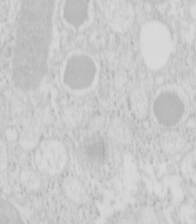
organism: Mouse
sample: Pancreas